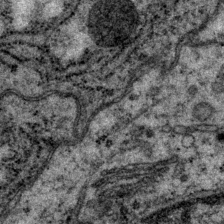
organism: P. pacificus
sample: Pharynx